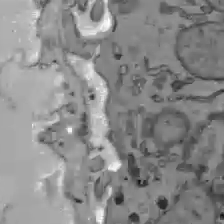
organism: C57BL Mouse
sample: Liver